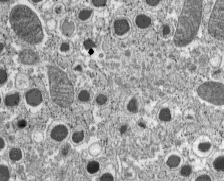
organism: C57BL Mouse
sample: Pancreatic islet